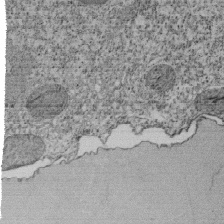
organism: Tetrahymena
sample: Cilia in tetrahymena